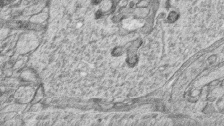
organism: Zebrafish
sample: synaptic ribbons in rod cells and cone cells